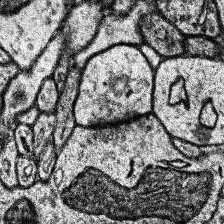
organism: Human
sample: Temporal Lobe